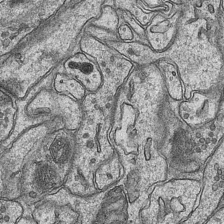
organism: Mouse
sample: CA1 Hippocampus